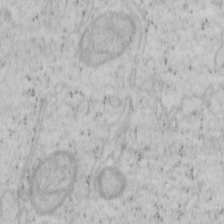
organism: Human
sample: HeLa cells